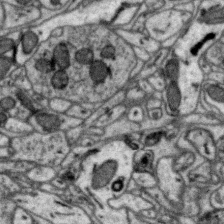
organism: Zebra finch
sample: Brain